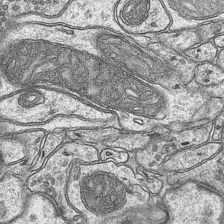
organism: Mouse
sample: CA1 Hippocampus